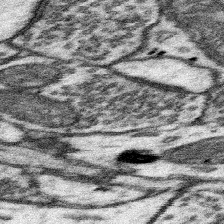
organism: Mouse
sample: Somatosensory cortex neuropil